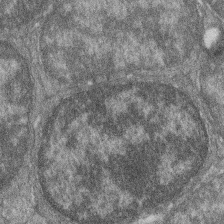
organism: Zebrafish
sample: Cilia; retinal pigment epithelium